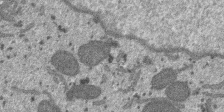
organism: Human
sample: Lung epithelial cells infected with SARS-CoV-2